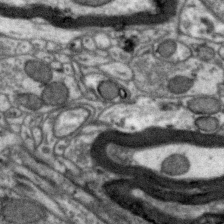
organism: Zebra finch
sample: Brain